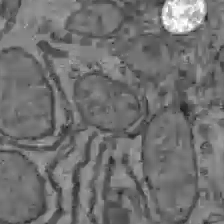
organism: C57BL Mouse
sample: Liver